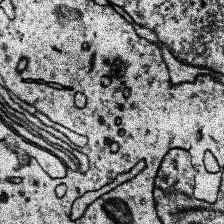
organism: Human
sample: Temporal Lobe